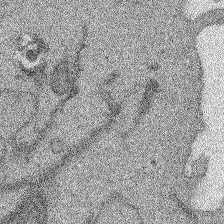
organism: Human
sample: HeLa cells